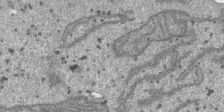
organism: Human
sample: Lung epithelial cells infected with SARS-CoV-2